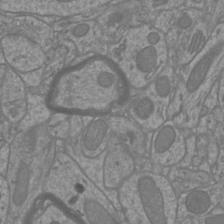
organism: Mouse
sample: Cortical neurons